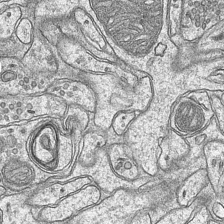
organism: Mouse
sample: CA1 Hippocampus